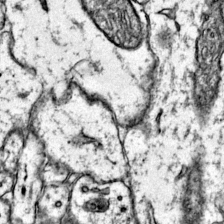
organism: Mouse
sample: Primary visual cortex